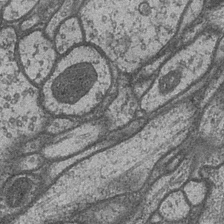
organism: Drosophila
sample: Optic medulla